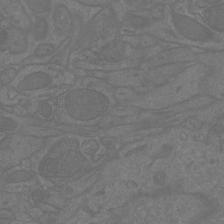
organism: Mouse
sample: Cortical neurons